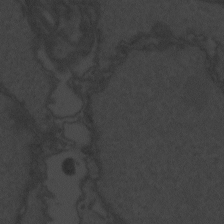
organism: Zebrafish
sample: Macrophage infected with Toxoplasma gondii